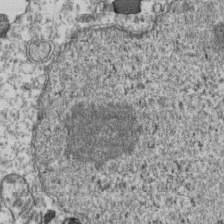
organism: Human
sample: Activated Jurkat CD4+ T cells